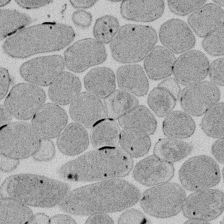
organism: E. coli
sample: Bacterial nucleoid